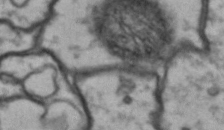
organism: Drosophila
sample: Brain